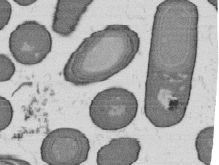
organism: B. subtilis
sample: Bacterial spore